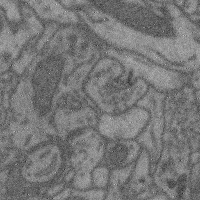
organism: Mouse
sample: Cerebral cortex